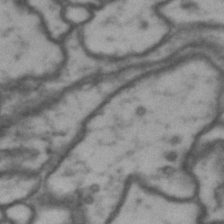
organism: Drosophila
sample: Brain